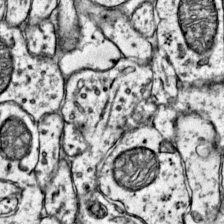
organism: Mouse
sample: Primary visual cortex